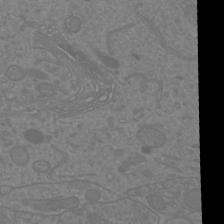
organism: Mouse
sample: Cortical neurons